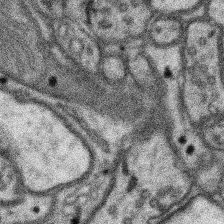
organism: Mouse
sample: Somatosensory cortex neuropil